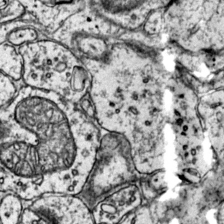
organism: Mouse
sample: Primary visual cortex